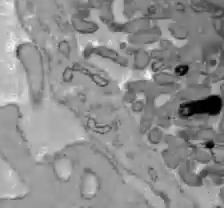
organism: C57BL Mouse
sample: Liver